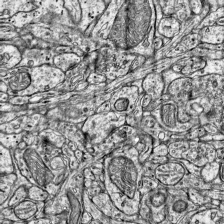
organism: Mouse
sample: Visual Cortex